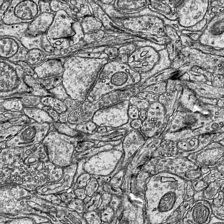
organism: Mouse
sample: Visual Cortex